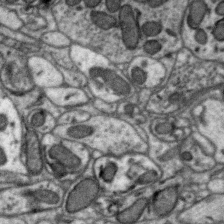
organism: Zebra finch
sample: Brain